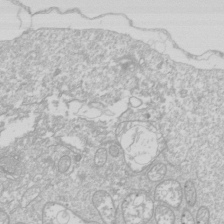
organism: Drosophila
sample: Cell division; meiosis; drosophila spermatocytes